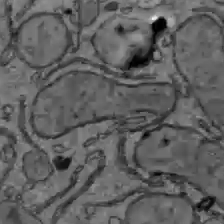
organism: C57BL Mouse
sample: Liver